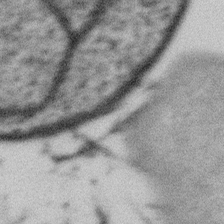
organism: Gemmata obscuriglobus